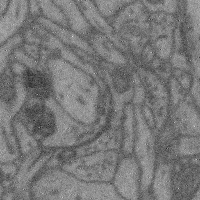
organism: Mouse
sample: Cerebral cortex